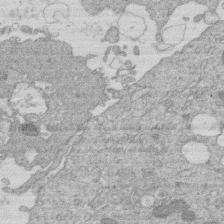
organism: Human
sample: Macrophage cells